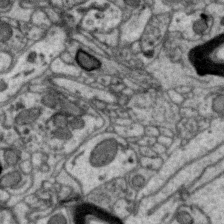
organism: Zebra finch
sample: Brain